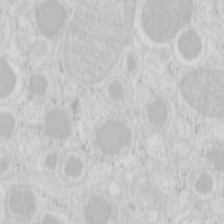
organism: Mouse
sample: Pancreas